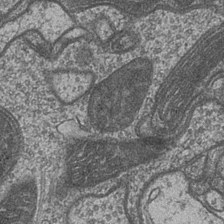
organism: Drosophila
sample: Optic medulla